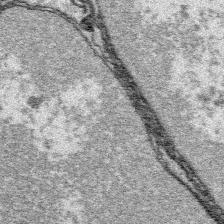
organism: Platynereis dumerilii